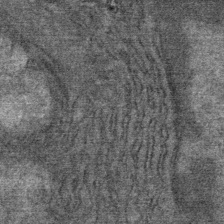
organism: Mouse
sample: Mouse Salivary gland